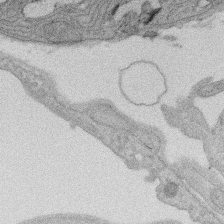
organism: Rat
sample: Salivary granule